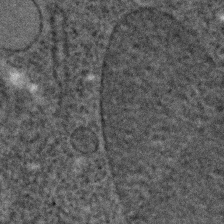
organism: C. elegans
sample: C. elegans embryo